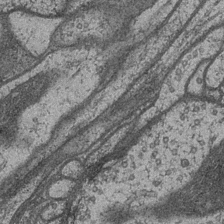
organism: Drosophila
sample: Optic medulla